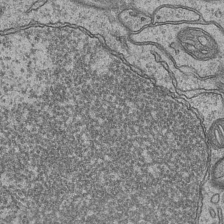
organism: Mouse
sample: CA1 Hippocampus